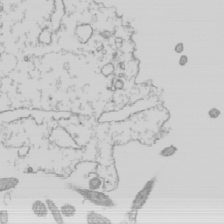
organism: Mouse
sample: Cilia; mouse epididymis